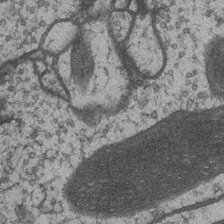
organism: Drosophila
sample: Optic medulla